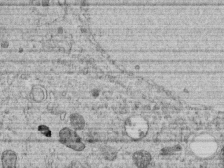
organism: C. elegans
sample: C. elegans embryo early stage